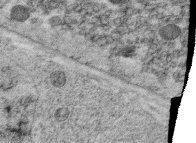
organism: C. elegans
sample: C. elegans oocyte; sperm cells